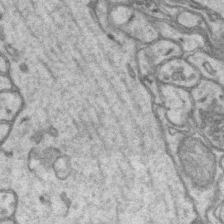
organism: Mouse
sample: CA1 Hippocampus